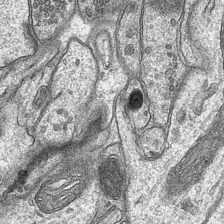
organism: Mouse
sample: CA1 Hippocampus